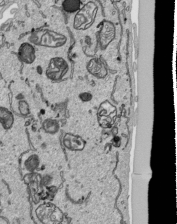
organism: Human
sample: Mitochondria in HCT116 cells